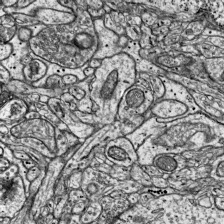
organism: Mouse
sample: Visual Cortex